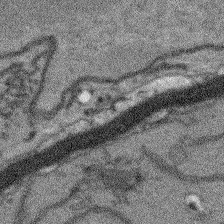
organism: Arabidopsis thaliana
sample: Root tip